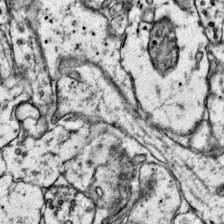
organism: Mouse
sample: Primary visual cortex